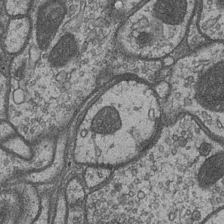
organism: Drosophila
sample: Optic medulla